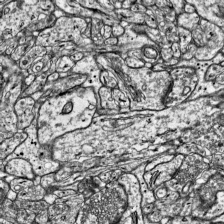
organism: Mouse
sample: Visual Cortex